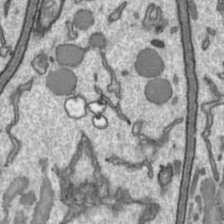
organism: Toxoplasma gondii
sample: Parasites in a vacuole inside a host cell